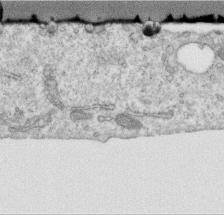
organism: Human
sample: Centriole in RPE cells